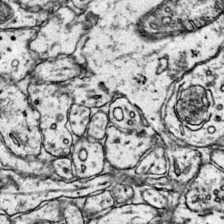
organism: Mouse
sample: Primary visual cortex